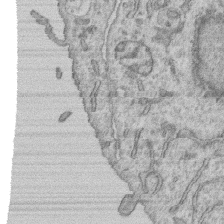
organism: Human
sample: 1205lu cells